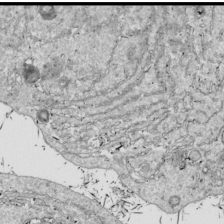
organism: Drosophila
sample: Cell division; meiosis; drosophila spermatocytes